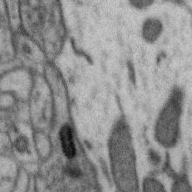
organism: Zebra finch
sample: Brain